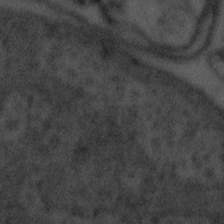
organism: Tuwongella immobilis